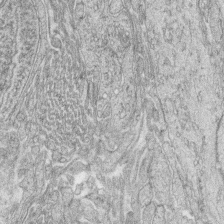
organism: Zebrafish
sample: synaptic ribbons in rod cells and cone cells